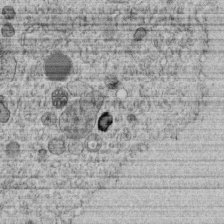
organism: C. elegans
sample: C. elegans embryo early stage